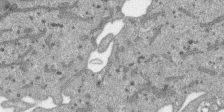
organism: Human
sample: Lung epithelial cells infected with SARS-CoV-2